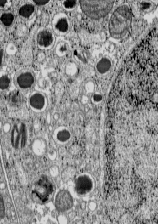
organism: C57BL Mouse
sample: Pancreatic islet